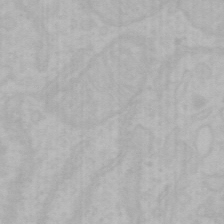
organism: Mouse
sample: Choroid plexus